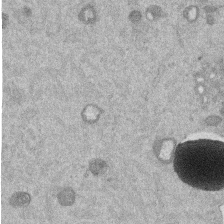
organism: Mouse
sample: Dividing mouse embryo 1 cell stage